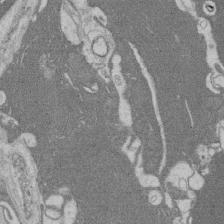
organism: Rat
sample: Salivary granule